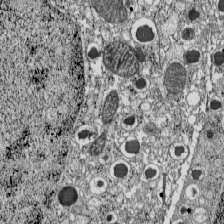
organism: C57BL Mouse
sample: Pancreatic islet